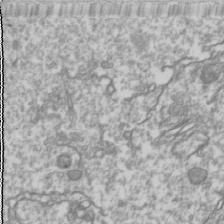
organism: Drosophila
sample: Cell division; meiosis; drosophila spermatocytes